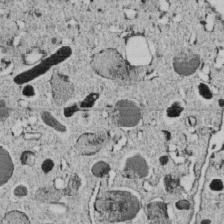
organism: C. elegans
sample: C. elegans embryo early stage